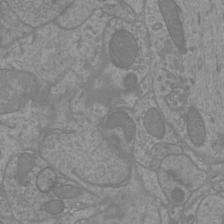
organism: Mouse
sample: Cortical neurons